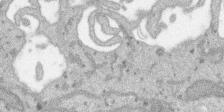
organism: Human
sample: Lung epithelial cells infected with SARS-CoV-2